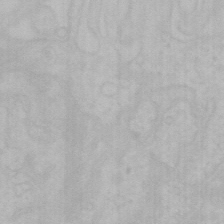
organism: Mouse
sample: Choroid plexus